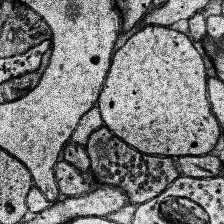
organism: Human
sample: Temporal Lobe